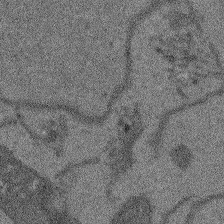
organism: Arabidopsis thaliana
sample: Root tip